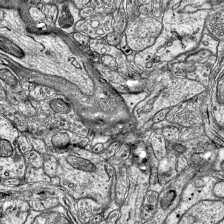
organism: Mouse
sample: Visual Cortex